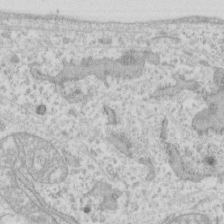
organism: Human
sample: Fibroblast cells